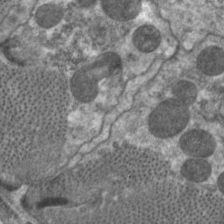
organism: C. elegans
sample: Pharynx